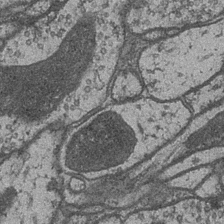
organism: Drosophila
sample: Optic medulla